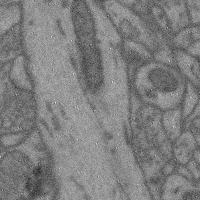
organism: Mouse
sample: Cerebral cortex